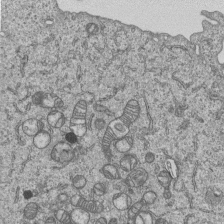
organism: Human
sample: MDA-MB-231 cells